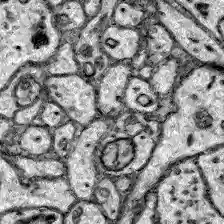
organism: Zebrafish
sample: Brain